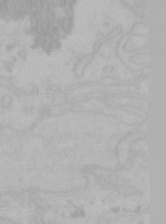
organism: Mouse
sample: Choroid plexus